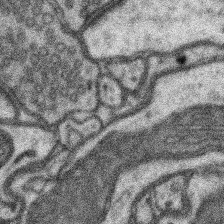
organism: Mouse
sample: Somatosensory cortex neuropil